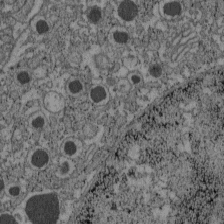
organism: C57BL Mouse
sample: Pancreatic islet